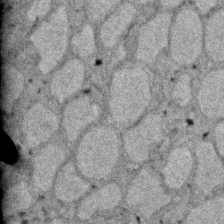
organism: Zebrafish